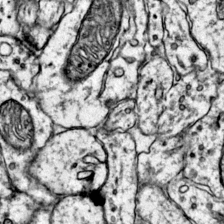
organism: Mouse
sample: Primary visual cortex